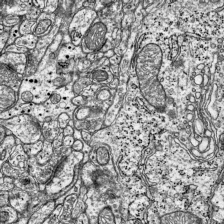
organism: Mouse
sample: Visual Cortex